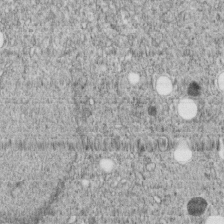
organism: C. elegans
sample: C. elegans embryo early stage